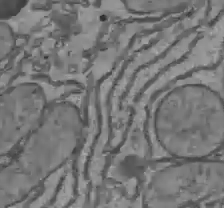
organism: C57BL Mouse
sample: Liver